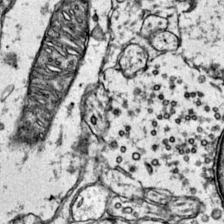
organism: Mouse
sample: Primary visual cortex